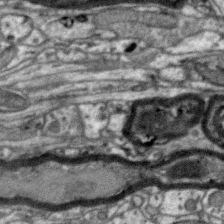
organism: Zebra finch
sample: Brain